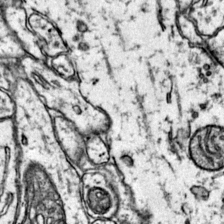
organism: Mouse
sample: Primary visual cortex